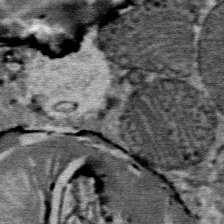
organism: Mouse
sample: Mouse Salivary gland